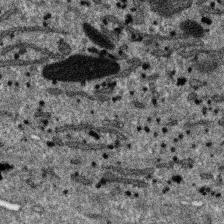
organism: Human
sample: Lung epithelial cells infected with SARS-CoV-2